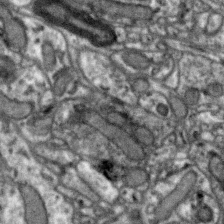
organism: Zebra finch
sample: Brain